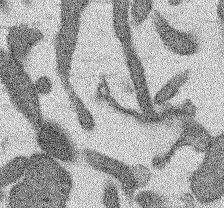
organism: Human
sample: HeLa cells